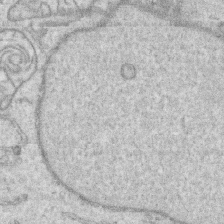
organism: Human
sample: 1205lu cells